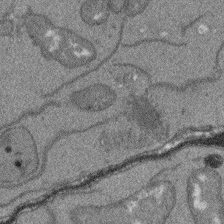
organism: Arabidopsis thaliana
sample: Root tip